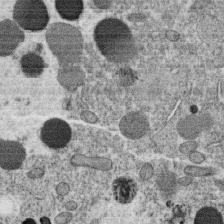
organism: C. elegans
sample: C. elegans oocyte; sperm cells